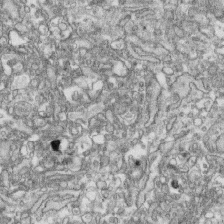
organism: Human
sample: CRL-1474